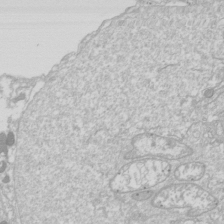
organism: Drosophila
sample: Cell division; meiosis; drosophila spermatocytes